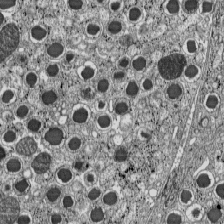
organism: C57BL Mouse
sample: Pancreatic islet